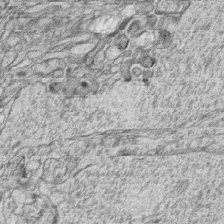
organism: Zebrafish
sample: synaptic ribbons in rod cells and cone cells